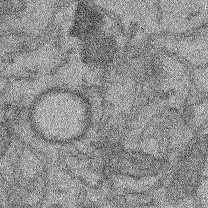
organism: Human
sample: HeLa cells